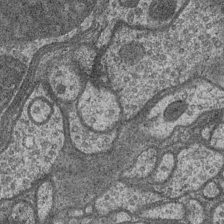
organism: Drosophila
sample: Optic medulla